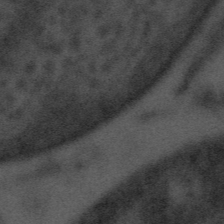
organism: Tuwongella immobilis